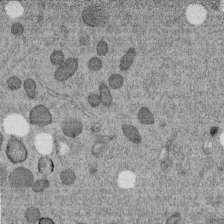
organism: C. elegans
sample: C. elegans embryo early stage